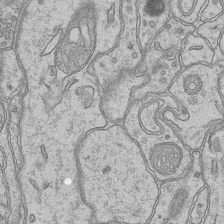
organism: Mouse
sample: CA1 Hippocampus